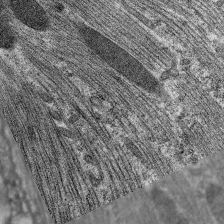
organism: C. elegans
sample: Pharynx